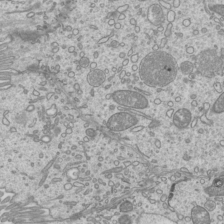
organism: Mouse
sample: Cilia; mouse epididymis